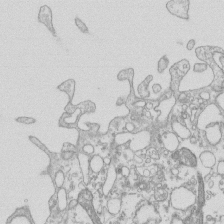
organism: Mouse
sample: Macrophages